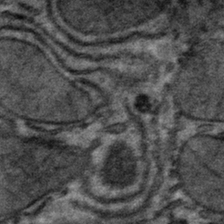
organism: Mouse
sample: Mouse hepatocytes